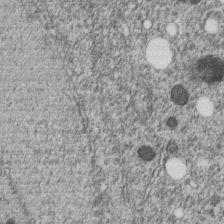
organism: C. elegans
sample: C. elegans embryo early stage